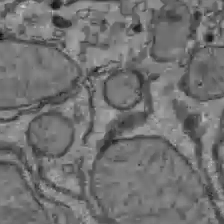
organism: C57BL Mouse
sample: Liver